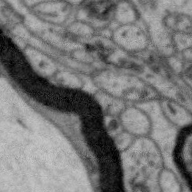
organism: Zebra finch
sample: Brain